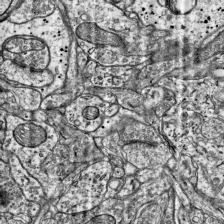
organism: Mouse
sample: Visual Cortex